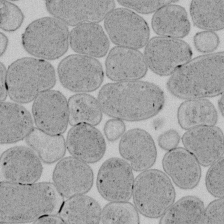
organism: E. coli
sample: Bacterial nucleoid